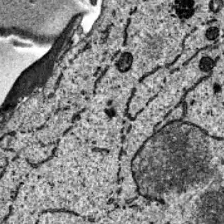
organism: Human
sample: HeLa cells